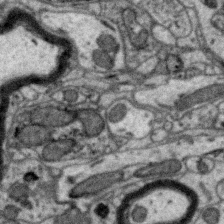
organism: Zebra finch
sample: Brain